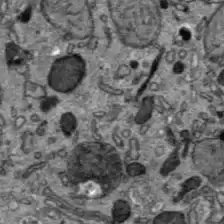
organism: C57BL Mouse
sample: Liver